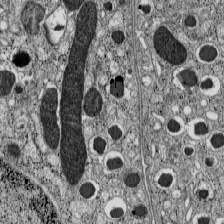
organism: C57BL Mouse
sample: Pancreatic islet